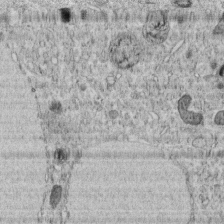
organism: C. elegans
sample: C. elegans embryo early stage